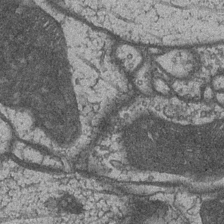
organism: Drosophila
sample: Optic medulla